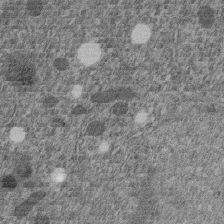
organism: C. elegans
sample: C. elegans embryo early stage